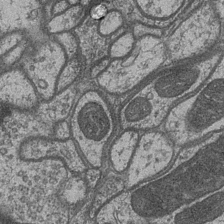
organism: Drosophila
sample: Optic medulla